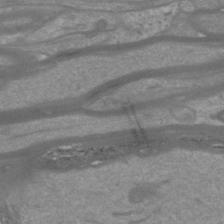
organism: Mouse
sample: Cortical neurons